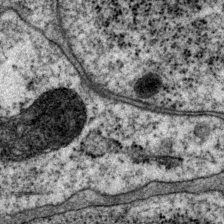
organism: P. pacificus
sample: Pharynx